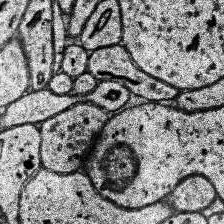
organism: Human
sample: Temporal Lobe